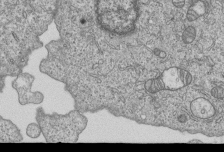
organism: Human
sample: MDA-MB-231 cells